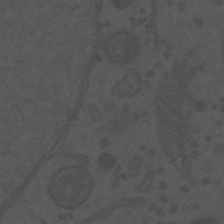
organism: Mouse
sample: Suprachiasmatic nucleus